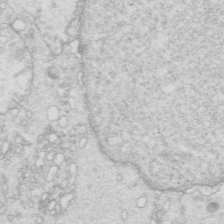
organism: Mouse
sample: Multiciliated cells